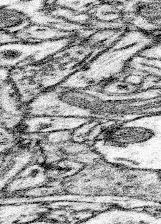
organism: Mouse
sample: Somatosensory cortex neuropil